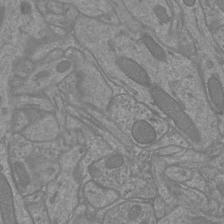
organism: Mouse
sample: Cortical neurons